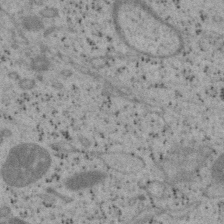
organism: Human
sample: HeLa cells